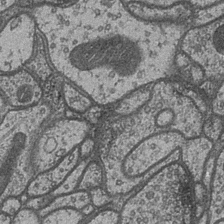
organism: Drosophila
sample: Optic medulla